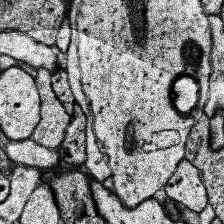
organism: Human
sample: Temporal Lobe